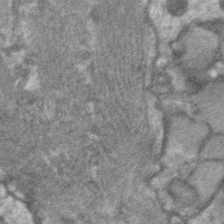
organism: C. elegans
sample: Pharynx